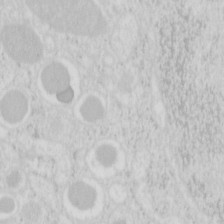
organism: Mouse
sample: Pancreas